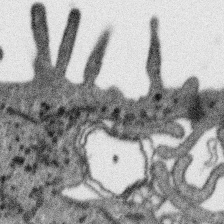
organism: Human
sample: Lung epithelial cells infected with SARS-CoV-2